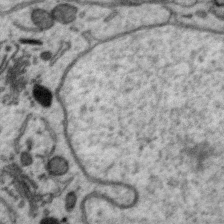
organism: Zebra finch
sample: Brain